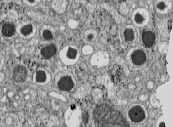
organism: C57BL Mouse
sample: Pancreatic islet